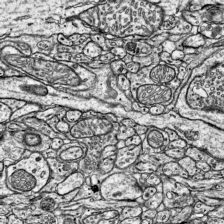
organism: Mouse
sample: Visual Cortex